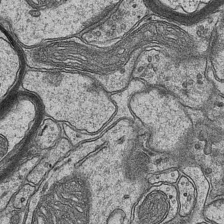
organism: Mouse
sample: CA1 Hippocampus